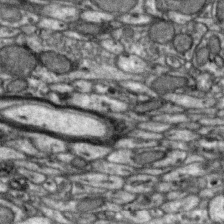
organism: Zebra finch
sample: Brain